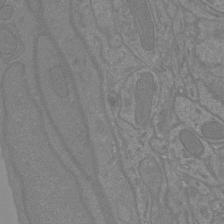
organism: Mouse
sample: Cortical neurons